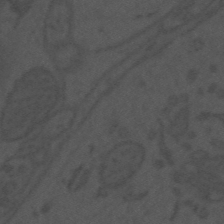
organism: Mouse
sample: Suprachiasmatic nucleus